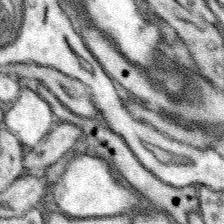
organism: Mouse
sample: Somatosensory cortex neuropil